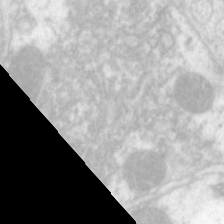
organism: C. elegans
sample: Pharynx